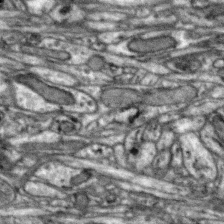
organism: Zebra finch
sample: Brain